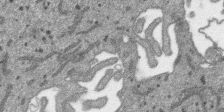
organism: Human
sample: Lung epithelial cells infected with SARS-CoV-2